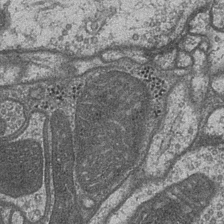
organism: Drosophila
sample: Optic medulla